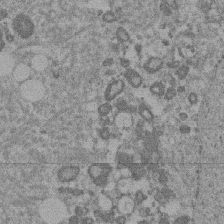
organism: Mouse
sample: Dividing mouse embryo 1 cell stage